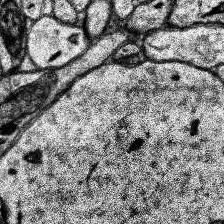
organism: Human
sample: Temporal Lobe